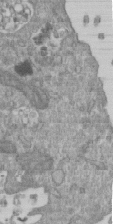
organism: Mouse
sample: ED-1 cell nuclei; centrioles